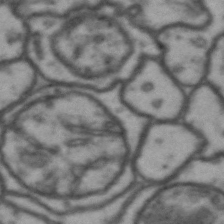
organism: Drosophila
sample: Brain